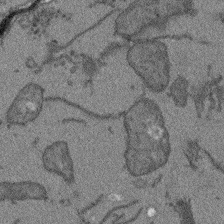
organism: Arabidopsis thaliana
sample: Root tip